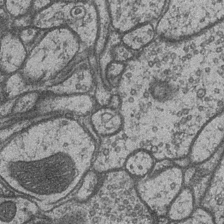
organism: Drosophila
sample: Optic medulla